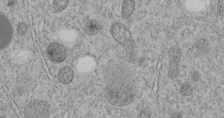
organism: C. elegans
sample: C. elegans embryo early stage